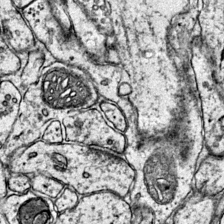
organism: Mouse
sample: Primary visual cortex